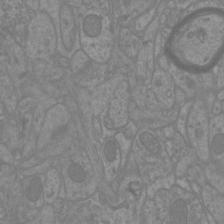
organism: Mouse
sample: Cortical neurons